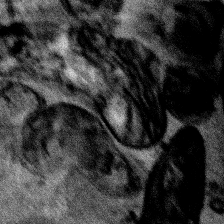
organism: Human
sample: Mitochondria in HCT116 cells